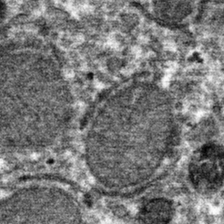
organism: Mouse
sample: Mouse hepatocytes